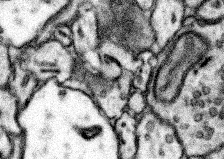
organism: Mouse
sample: Somatosensory cortex neuropil